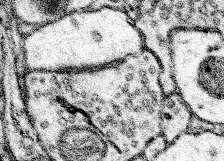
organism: Mouse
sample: Somatosensory cortex neuropil